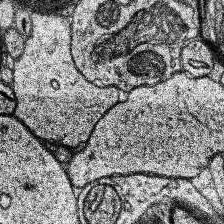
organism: Human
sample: Temporal Lobe